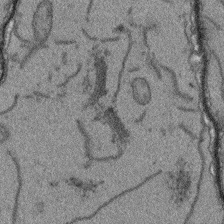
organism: Arabidopsis thaliana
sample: Root tip